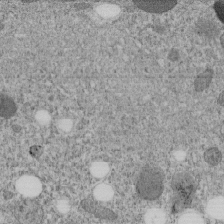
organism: C. elegans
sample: C. elegans embryo early stage